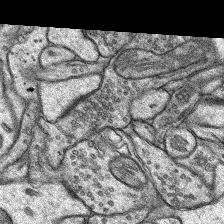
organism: Rat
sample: Hippocampus